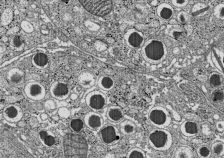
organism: C57BL Mouse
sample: Pancreatic islet